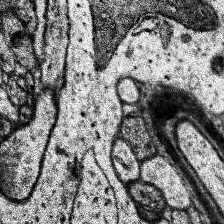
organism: Human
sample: Temporal Lobe